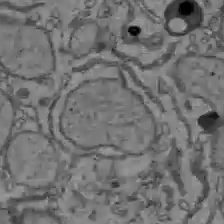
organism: C57BL Mouse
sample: Liver